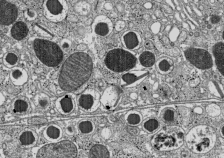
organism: C57BL Mouse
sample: Pancreatic islet